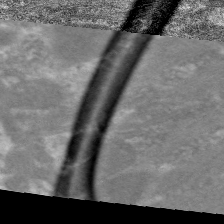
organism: C. elegans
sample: Pharynx